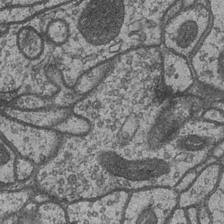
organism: Drosophila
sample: Optic medulla